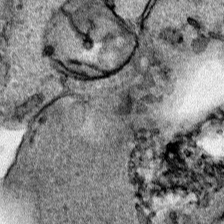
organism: Human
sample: Mitochondria in HCT116 cells